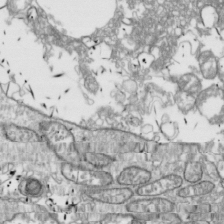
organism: Drosophila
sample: Cell division; meiosis; drosophila spermatocytes